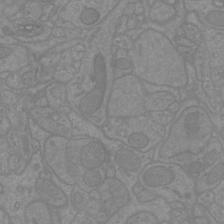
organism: Mouse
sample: Cortical neurons